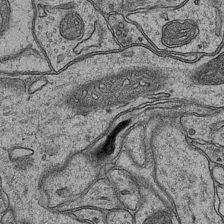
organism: Mouse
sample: CA1 Hippocampus